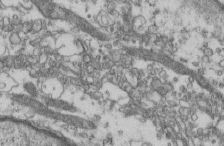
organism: Mouse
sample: Cilia; retinal pigment epithelium